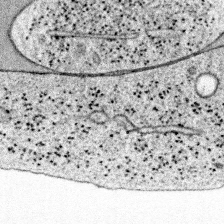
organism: Human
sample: HeLa cells